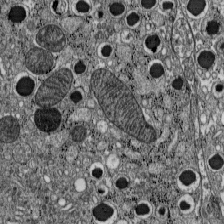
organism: C57BL Mouse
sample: Pancreatic islet